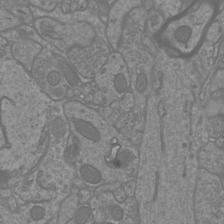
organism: Mouse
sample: Cortical neurons